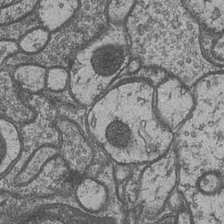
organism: Drosophila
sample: Optic medulla